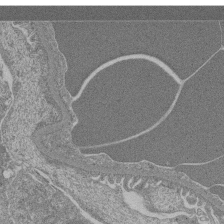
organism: Mouse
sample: Glomerulus